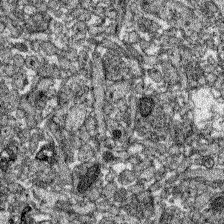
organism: Zebrafish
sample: Larval olfactory bulb